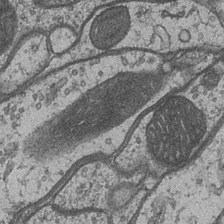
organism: Drosophila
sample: Optic medulla